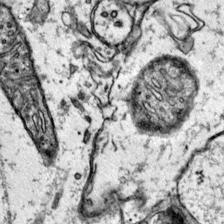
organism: Mouse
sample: Primary visual cortex